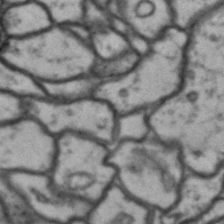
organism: Drosophila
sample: Brain